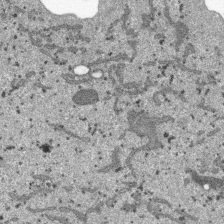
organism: Human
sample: Lung epithelial cells infected with SARS-CoV-2